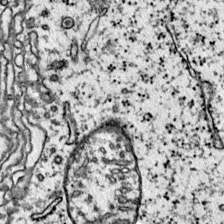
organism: Mouse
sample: Primary visual cortex